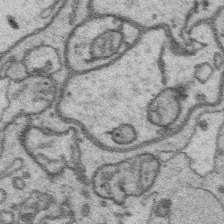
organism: Platynereis dumerilii